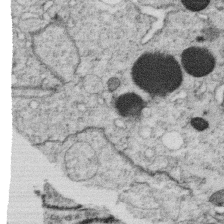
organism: C. elegans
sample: C. elegans oocyte; sperm cells